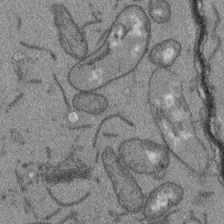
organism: Arabidopsis thaliana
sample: Root tip